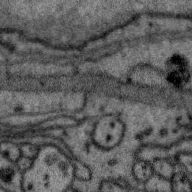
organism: Zebra finch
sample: Brain